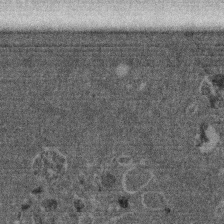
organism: Mouse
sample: Dividing mouse embryo 1 cell stage